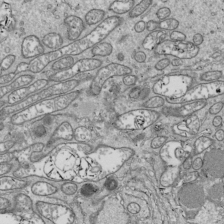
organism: Drosophila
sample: Cell division; meiosis; drosophila spermatocytes